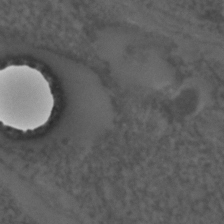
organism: C. elegans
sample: C. elegans embryo